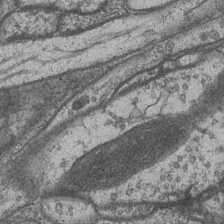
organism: Drosophila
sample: Optic medulla